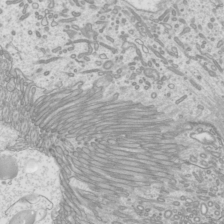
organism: Mouse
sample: Cilia; mouse epididymis